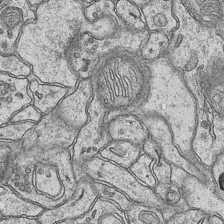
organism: Mouse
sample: CA1 Hippocampus